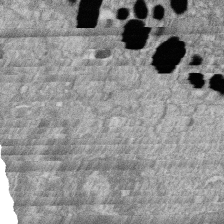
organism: Zebrafish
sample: Cilia; retinal pigment epithelium